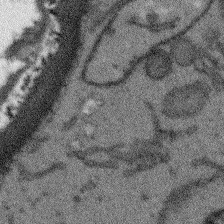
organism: Arabidopsis thaliana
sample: Root tip